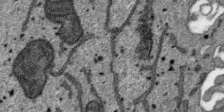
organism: Human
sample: Lung epithelial cells, uninfected (mock) control